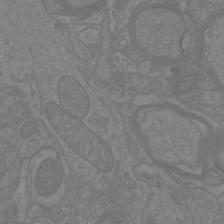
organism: Mouse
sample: Cortical neurons